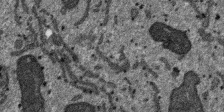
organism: Human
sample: Lung epithelial cells infected with SARS-CoV-2